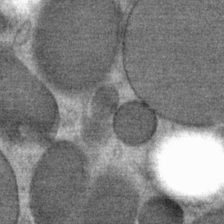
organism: Mouse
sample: Mouse Salivary gland